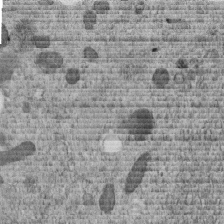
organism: C. elegans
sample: C. elegans embryo early stage